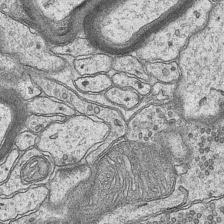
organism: Mouse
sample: CA1 Hippocampus